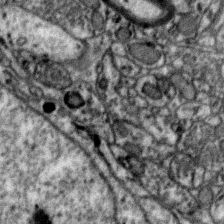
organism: Zebra finch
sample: Brain